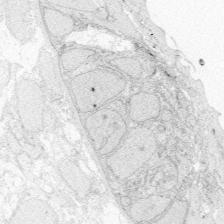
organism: Zebrafish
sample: Whole-Brain